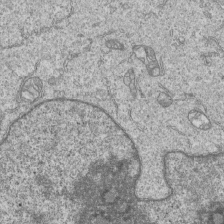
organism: Human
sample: MDA-MB-231 cells